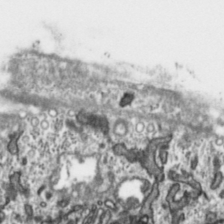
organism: Toxoplasma gondii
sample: Parasites in a vacuole inside a host cell